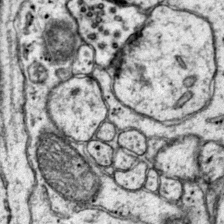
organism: Mouse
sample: Primary visual cortex